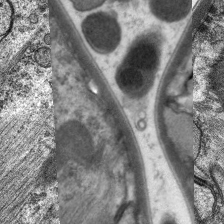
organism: C. elegans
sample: Pharynx